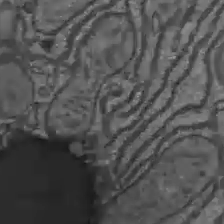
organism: C57BL Mouse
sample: Liver